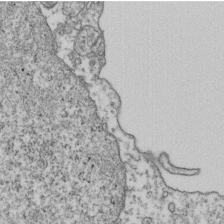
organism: Human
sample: Activated Jurkat CD4+ T cells